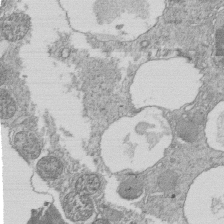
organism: Tetrahymena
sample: Cilia in tetrahymena